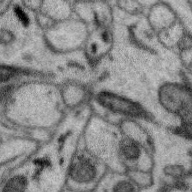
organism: Zebra finch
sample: Brain